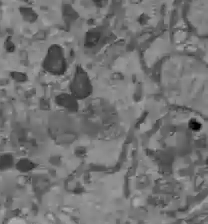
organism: C57BL Mouse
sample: Liver